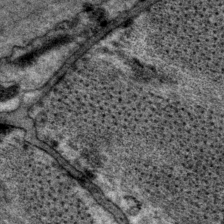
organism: P. pacificus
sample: Pharynx